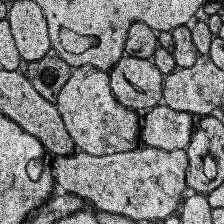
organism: Human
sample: Temporal Lobe